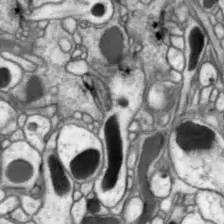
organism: Drosophila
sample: Optic lobe